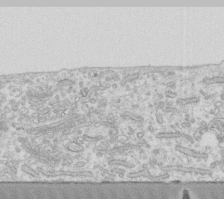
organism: Human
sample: Fibroblast cells